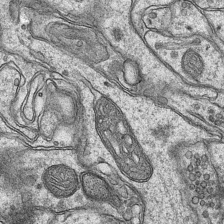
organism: Mouse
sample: CA1 Hippocampus